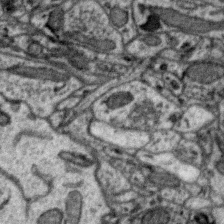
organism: Zebra finch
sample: Brain